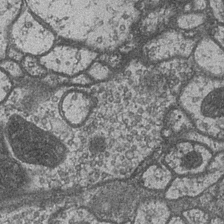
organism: Drosophila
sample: Optic medulla